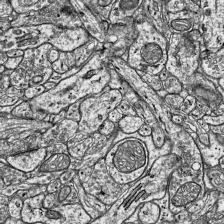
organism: Mouse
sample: Visual Cortex